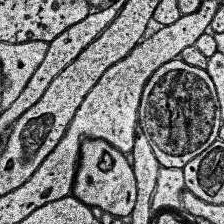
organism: Human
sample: Temporal Lobe